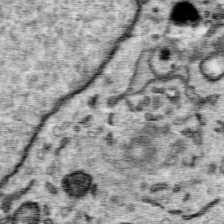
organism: Human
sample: HeLa cells